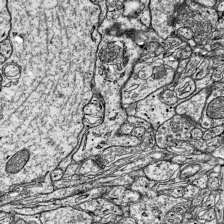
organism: Mouse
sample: Visual Cortex